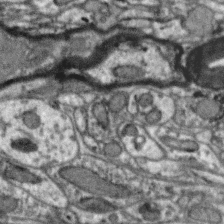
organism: Zebra finch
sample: Brain